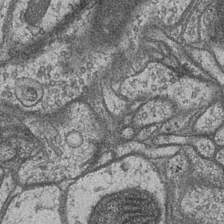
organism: Drosophila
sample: Optic medulla